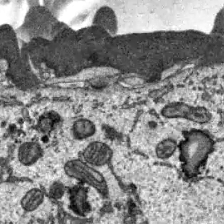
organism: Human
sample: HeLa cells